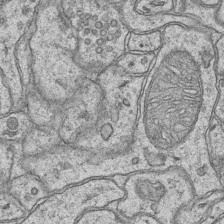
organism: Mouse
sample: CA1 Hippocampus